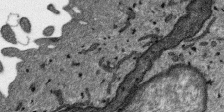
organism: Human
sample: Lung epithelial cells, uninfected (mock) control